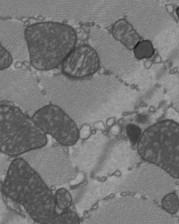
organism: C57BL Mouse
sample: Heart